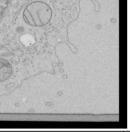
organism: Human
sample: Mitochondria in HCT116 cells